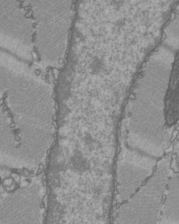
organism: C57BL Mouse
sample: Heart